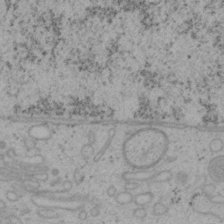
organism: Human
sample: HeLa cells